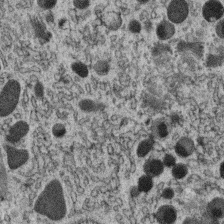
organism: C. elegans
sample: C. elegans oocyte; sperm cells